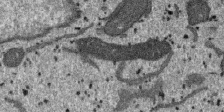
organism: Human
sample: Lung epithelial cells, uninfected (mock) control